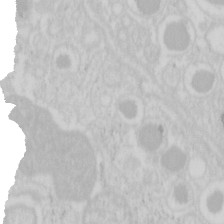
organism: Mouse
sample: Pancreas